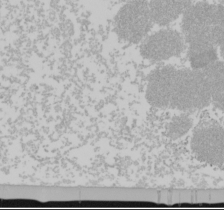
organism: Mouse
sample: Cancer cell death in ED-1 cells